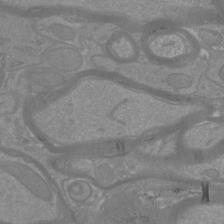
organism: Mouse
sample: Cortical neurons